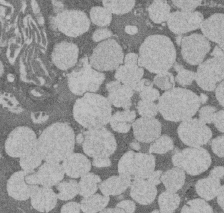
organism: Rat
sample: Salivary granule